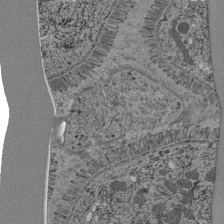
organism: C. elegans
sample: C. elegans pharynx